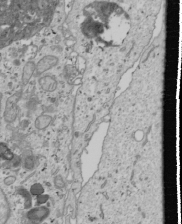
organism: Human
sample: Mitochondria in U2OS cells